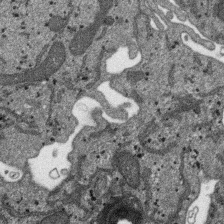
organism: Human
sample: Lung epithelial cells infected with SARS-CoV-2